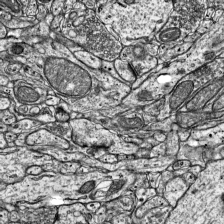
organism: Mouse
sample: Visual Cortex